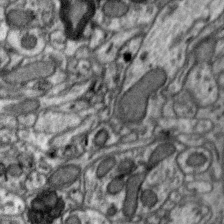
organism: Zebra finch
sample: Brain